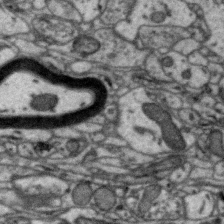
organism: Zebra finch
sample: Brain